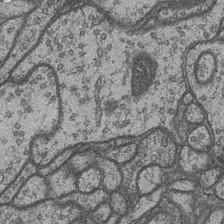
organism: Drosophila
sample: Optic medulla